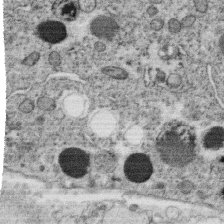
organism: C. elegans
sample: C. elegans oocyte; sperm cells